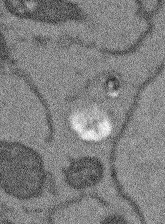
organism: Arabidopsis thaliana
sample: Root tip